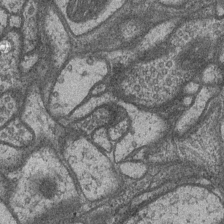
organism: Drosophila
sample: Optic medulla